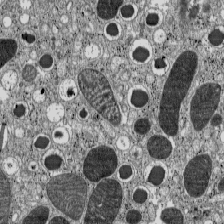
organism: C57BL Mouse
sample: Pancreatic islet